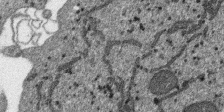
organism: Human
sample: Lung epithelial cells infected with SARS-CoV-2